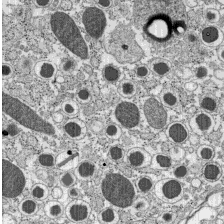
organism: C57BL Mouse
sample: Pancreatic islet